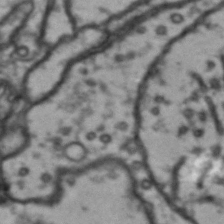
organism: Drosophila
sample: Brain